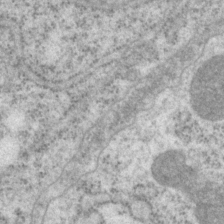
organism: P. pacificus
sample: Pharynx